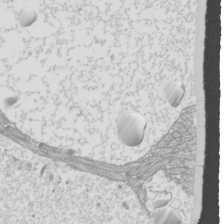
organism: Mouse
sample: Cilia; mouse epididymis